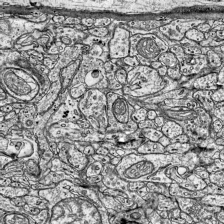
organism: Mouse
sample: Visual Cortex